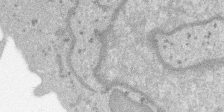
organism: Human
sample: Lung epithelial cells infected with SARS-CoV-2